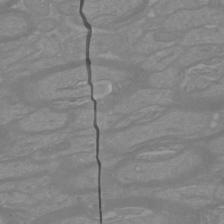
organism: Mouse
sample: Cortical neurons